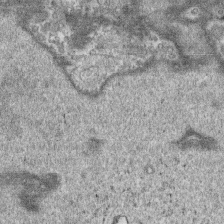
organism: Human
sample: CRL-1474